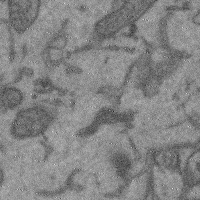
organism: Mouse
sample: Cerebral cortex